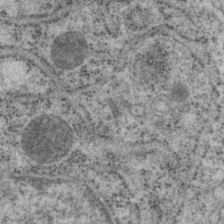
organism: P. pacificus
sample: Pharynx